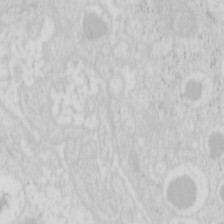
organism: Mouse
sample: Pancreas